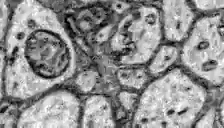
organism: Zebrafish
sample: Brain